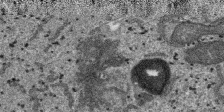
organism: Human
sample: Lung epithelial cells infected with SARS-CoV-2